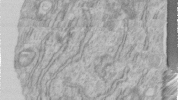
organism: Human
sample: Centriole in RPE cells